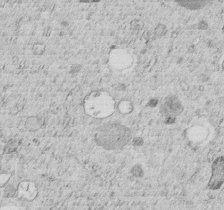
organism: C. elegans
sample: C. elegans embryo early stage